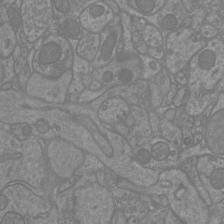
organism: Mouse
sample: Cortical neurons